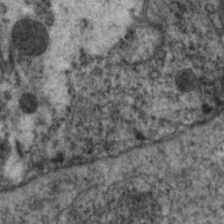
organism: C. elegans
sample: Pharynx